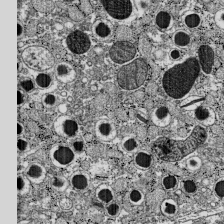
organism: C57BL Mouse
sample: Pancreatic islet